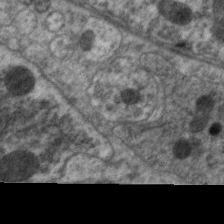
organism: C. elegans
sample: Pharynx